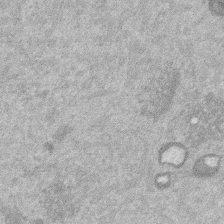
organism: Mouse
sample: Dividing mouse embryo 1 cell stage